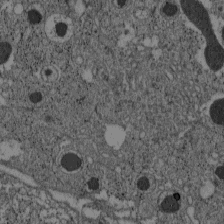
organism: C57BL Mouse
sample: Pancreatic islet